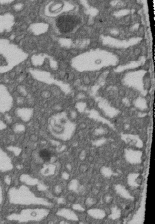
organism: Drosophila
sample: Nephrocyte